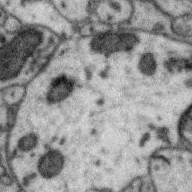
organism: Zebra finch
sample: Brain